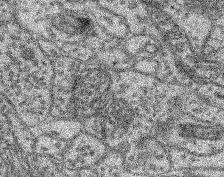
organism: Mouse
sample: Retina